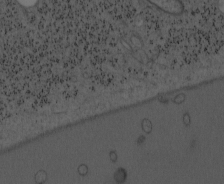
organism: Mouse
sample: OT-I killer T cells with ID8 ovarian cancer cells